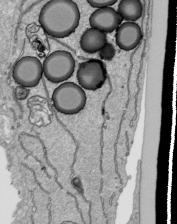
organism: Human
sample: Mitochondria in HCT116 cells